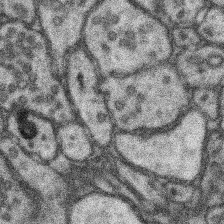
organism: Mouse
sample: Somatosensory cortex neuropil